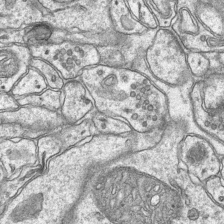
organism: Mouse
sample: CA1 Hippocampus